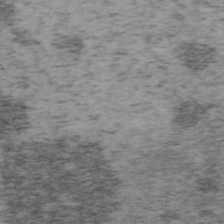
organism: Mouse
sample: OT-I killer T cells with ID8 ovarian cancer cells